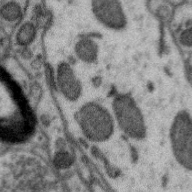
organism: Zebra finch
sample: Brain